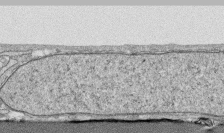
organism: Human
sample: CRL-1474